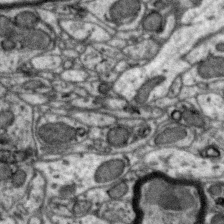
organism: Zebra finch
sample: Brain